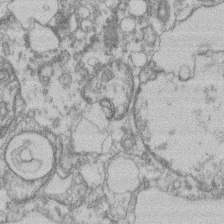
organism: Mouse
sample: T cell stromal cell synapse